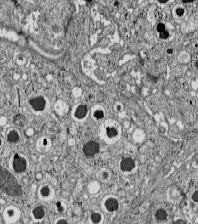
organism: C57BL Mouse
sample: Pancreatic islet